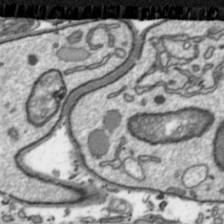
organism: Toxoplasma gondii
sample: Parasites in a vacuole inside a host cell